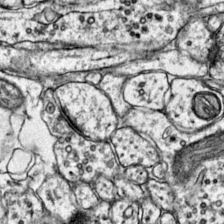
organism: Mouse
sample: Primary visual cortex